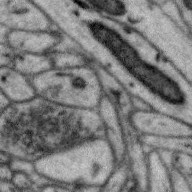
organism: Zebra finch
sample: Brain